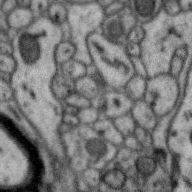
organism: Zebra finch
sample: Brain